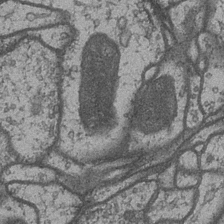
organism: Drosophila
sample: Optic medulla